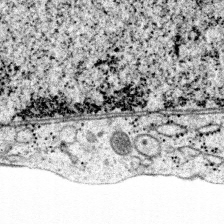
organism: Human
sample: HeLa cells